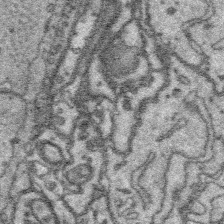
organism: Platynereis dumerilii